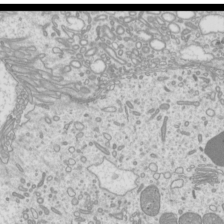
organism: Mouse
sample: Cilia; mouse epididymis